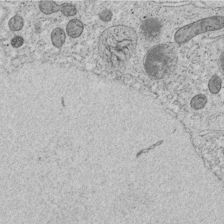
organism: C. elegans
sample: C. elegans embryo early stage